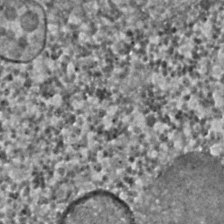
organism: C. elegans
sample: C. elegans embryo